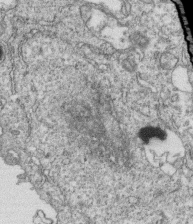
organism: Human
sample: HeLa cell HIV synapse